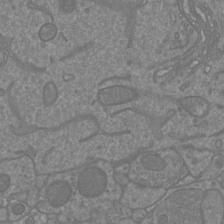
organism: Mouse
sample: Cortical neurons